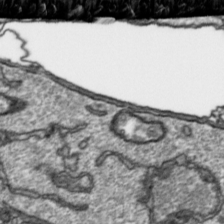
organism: Toxoplasma gondii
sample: Parasites in a vacuole inside a host cell